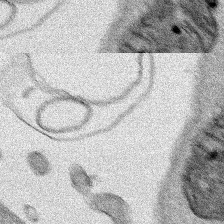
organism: Human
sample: Mitochondria in HCT116 cells